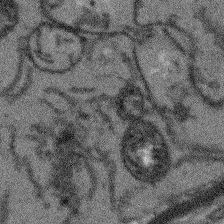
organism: Arabidopsis thaliana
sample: Root tip